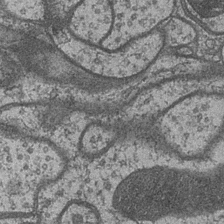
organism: Drosophila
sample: Optic medulla